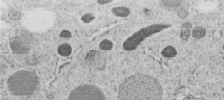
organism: C. elegans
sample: C. elegans embryo early stage